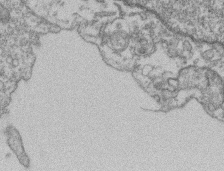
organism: Mouse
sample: T cell stromal cell synapse